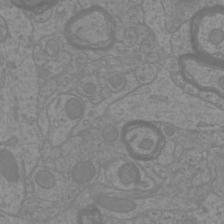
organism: Mouse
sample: Cortical neurons